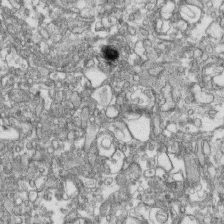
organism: Human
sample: CRL-1474